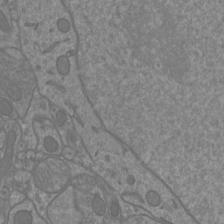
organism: Mouse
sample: Cortical neurons